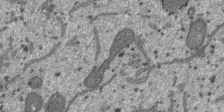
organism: Human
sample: Lung epithelial cells infected with SARS-CoV-2